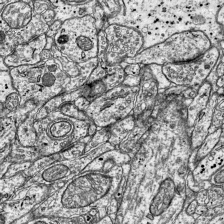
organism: Mouse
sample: Visual Cortex